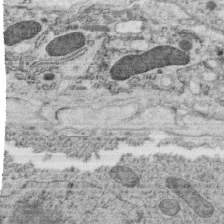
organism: C. elegans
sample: C. elegans oocyte; sperm cells